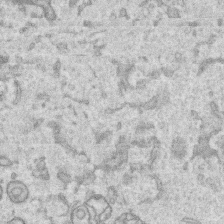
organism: Human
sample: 1205lu cells